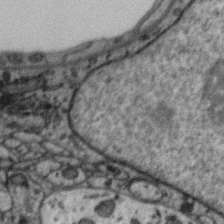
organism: Zebra finch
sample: Brain